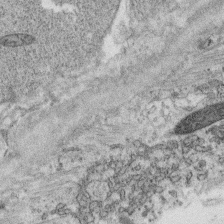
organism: C. elegans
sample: C. elegans oocyte; sperm cells